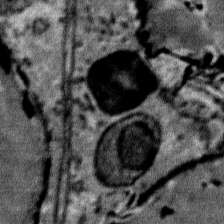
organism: Mouse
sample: Mouse Salivary gland